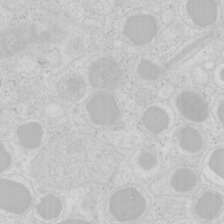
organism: Mouse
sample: Pancreas